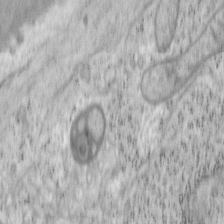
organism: Human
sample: HeLa cells